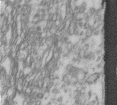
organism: Human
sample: Centriole in fibroblast cells